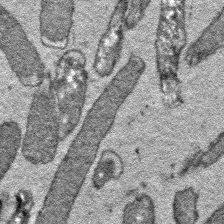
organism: E. coli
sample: E. Coli Bacteria